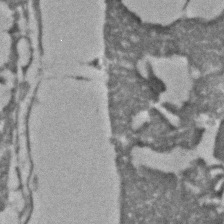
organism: C. elegans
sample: C. elegans embryo